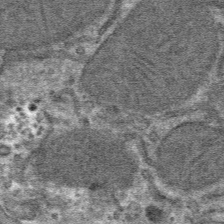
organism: Mouse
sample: Mouse hepatocytes